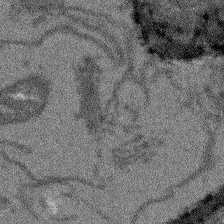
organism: Arabidopsis thaliana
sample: Root tip